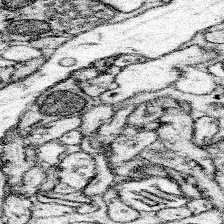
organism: Mouse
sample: Somatosensory cortex neuropil